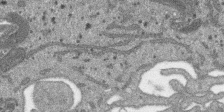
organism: Human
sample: Lung epithelial cells infected with SARS-CoV-2